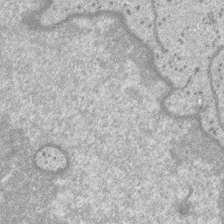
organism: Human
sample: Lung epithelial cells infected with SARS-CoV-2